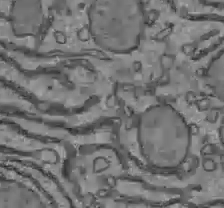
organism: C57BL Mouse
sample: Liver